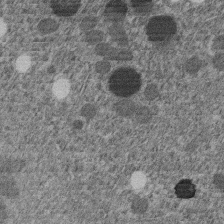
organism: C. elegans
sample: C. elegans embryo early stage